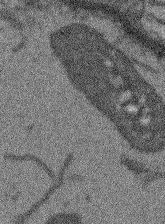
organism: Arabidopsis thaliana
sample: Root tip